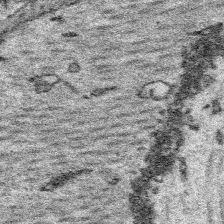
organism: Platynereis dumerilii